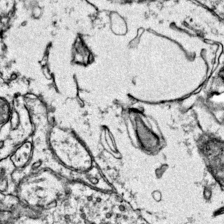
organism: Mouse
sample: Primary visual cortex